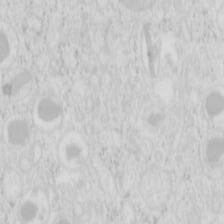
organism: Mouse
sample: Pancreas